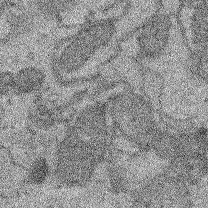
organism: Human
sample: HeLa cells